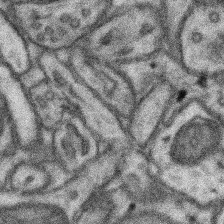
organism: Mouse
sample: Somatosensory cortex neuropil